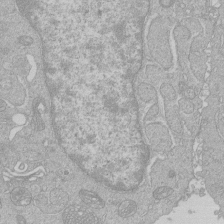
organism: Human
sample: Macrophage cells